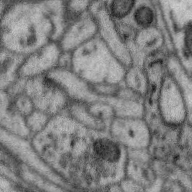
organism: Zebra finch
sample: Brain